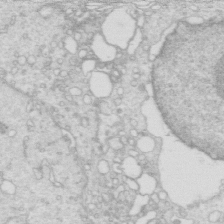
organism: Mouse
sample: Multiciliated cells